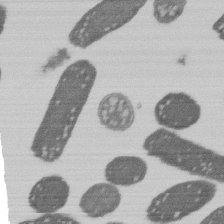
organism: E. coli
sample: Bacterial nucleoid